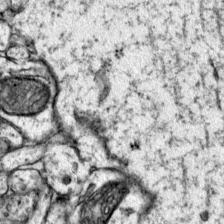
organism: Mouse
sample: Primary visual cortex